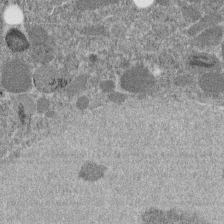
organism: C. elegans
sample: C. elegans embryo early stage